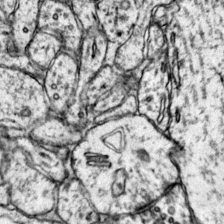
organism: Mouse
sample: Primary visual cortex